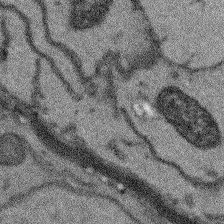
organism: Arabidopsis thaliana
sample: Root tip